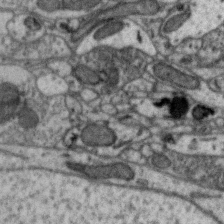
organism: Zebra finch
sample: Brain